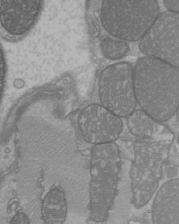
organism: C57BL Mouse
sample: Heart